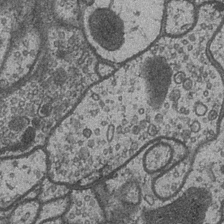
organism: Drosophila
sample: Optic medulla